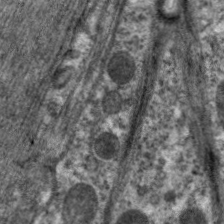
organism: C. elegans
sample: Pharynx